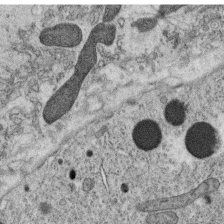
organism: C. elegans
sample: C. elegans oocyte; sperm cells